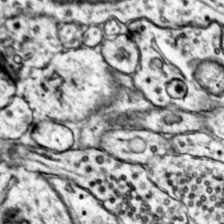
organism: Mouse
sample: Primary visual cortex